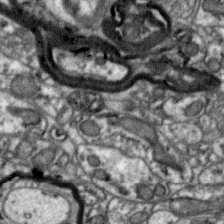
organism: Zebra finch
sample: Brain